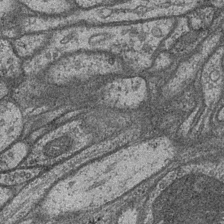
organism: Drosophila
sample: Optic medulla